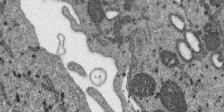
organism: Human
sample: Lung epithelial cells infected with SARS-CoV-2